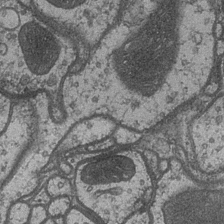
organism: Drosophila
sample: Optic medulla